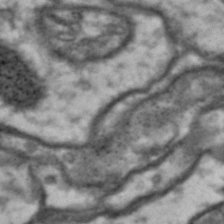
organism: Drosophila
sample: Brain